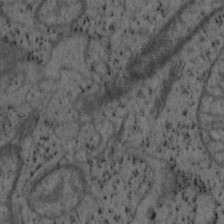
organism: Human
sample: HeLa cells